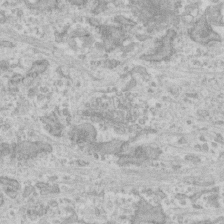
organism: Human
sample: CRL-1474